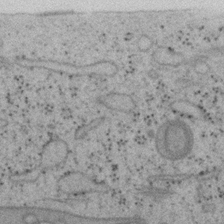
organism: Human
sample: HeLa cells